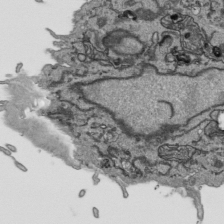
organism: Human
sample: Mitochondria in HCT116 cells